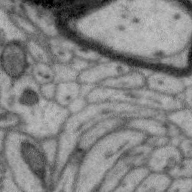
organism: Zebra finch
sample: Brain